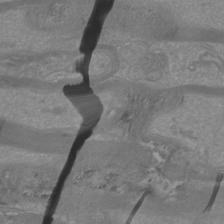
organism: Mouse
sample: Cortical neurons